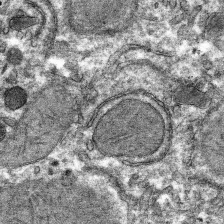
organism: Mouse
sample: Mouse hepatocytes